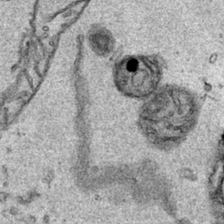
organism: Human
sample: Mitochondria in HCT116 cells